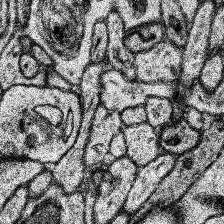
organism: Human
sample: Temporal Lobe